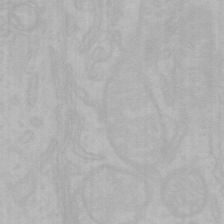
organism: Mouse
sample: Choroid plexus